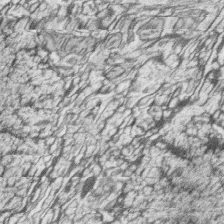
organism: Zebrafish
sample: synaptic ribbons in rod cells and cone cells